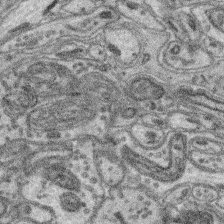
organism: Mouse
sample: Retina